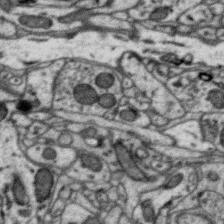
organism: Zebra finch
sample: Brain